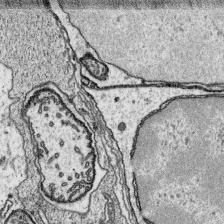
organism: Platynereis dumerilii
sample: Parapodia